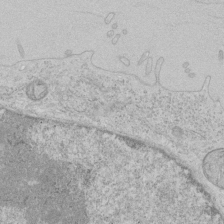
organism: Human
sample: Mitochondria in HCT116 cells